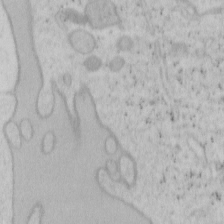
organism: Human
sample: HeLa cells